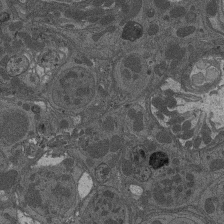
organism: Drosophila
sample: Antenna